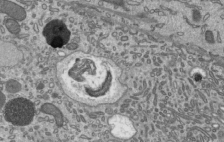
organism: Mouse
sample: Mouse epididymis efferent ductule cilia